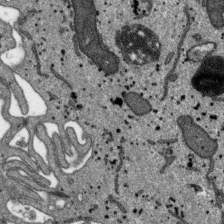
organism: Human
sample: Lung epithelial cells, uninfected (mock) control